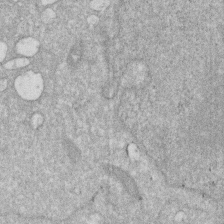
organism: Human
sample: HIV infected U937 cells